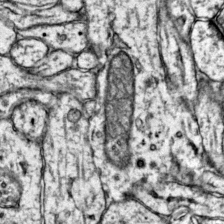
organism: Mouse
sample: Primary visual cortex